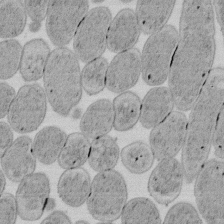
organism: E. coli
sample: Bacterial nucleoid